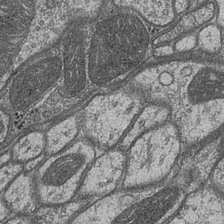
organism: Drosophila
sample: Optic medulla